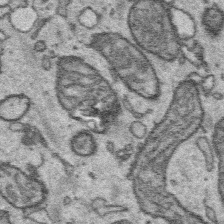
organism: Platynereis dumerilii